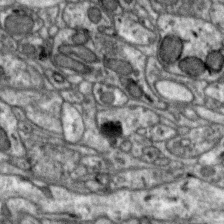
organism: Zebra finch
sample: Brain